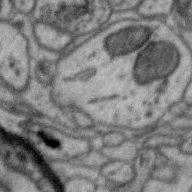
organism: Zebra finch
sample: Brain